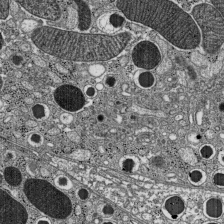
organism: C57BL Mouse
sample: Pancreatic islet